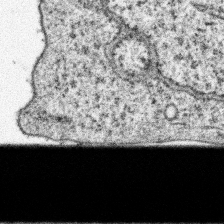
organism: Human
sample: HeLa cells